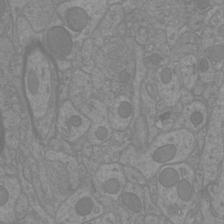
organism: Mouse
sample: Cortical neurons